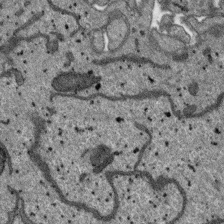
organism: Human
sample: Lung epithelial cells, uninfected (mock) control